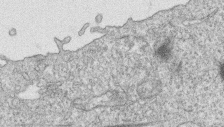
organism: Human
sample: HeLa cell HIV synapse